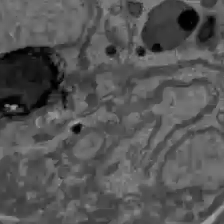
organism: C57BL Mouse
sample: Liver